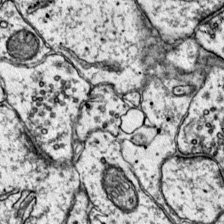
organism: Mouse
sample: Primary visual cortex